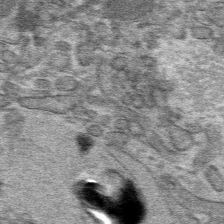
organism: Mouse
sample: Mouse hepatocytes